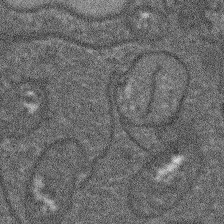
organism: Arabidopsis thaliana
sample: Root tip